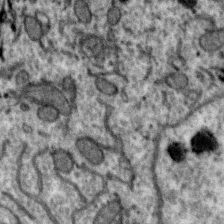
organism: Zebra finch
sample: Brain